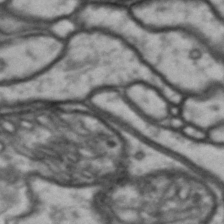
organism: Drosophila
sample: Brain